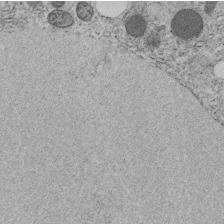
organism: C. elegans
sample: C. elegans embryo early stage